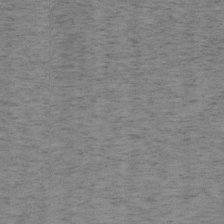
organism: Mouse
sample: OT-I killer T cells with ID8 ovarian cancer cells